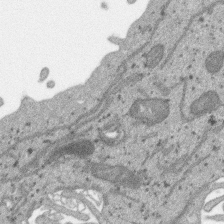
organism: Human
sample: Lung epithelial cells infected with SARS-CoV-2